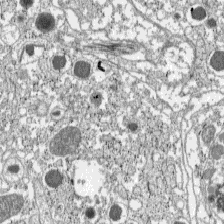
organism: C57BL Mouse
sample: Pancreatic islet